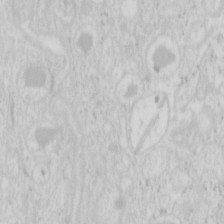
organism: Mouse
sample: Pancreas